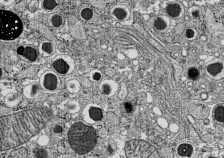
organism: C57BL Mouse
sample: Pancreatic islet